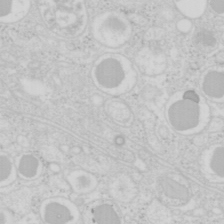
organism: Mouse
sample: Pancreas